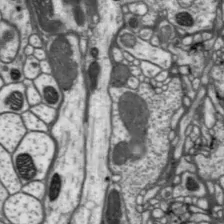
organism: Drosophila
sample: Protocerebral bridge